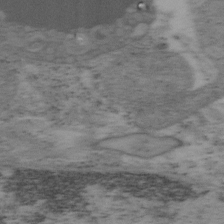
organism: Mouse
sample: OT-I killer T cells with ID8 ovarian cancer cells